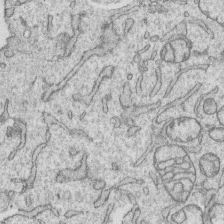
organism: Human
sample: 1205lu cells